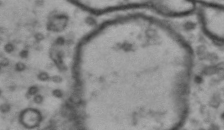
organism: Drosophila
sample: Brain